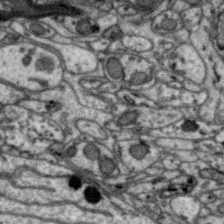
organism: Zebra finch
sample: Brain